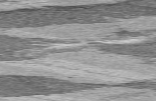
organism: C57BL Mouse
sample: Heart